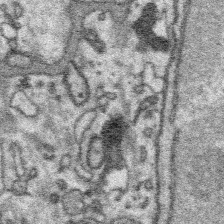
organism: Platynereis dumerilii